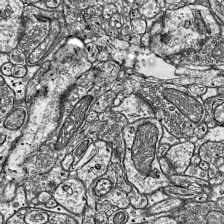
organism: Mouse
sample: Visual Cortex